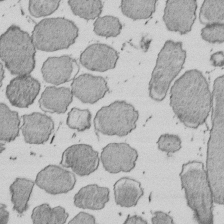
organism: E. coli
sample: Bacterial nucleoid